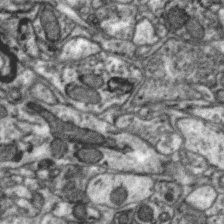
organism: Zebra finch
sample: Brain